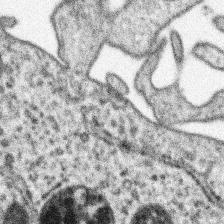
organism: Human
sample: HeLa cells